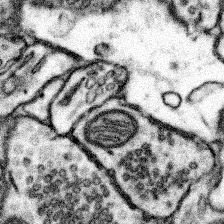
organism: Mouse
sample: Somatosensory cortex neuropil